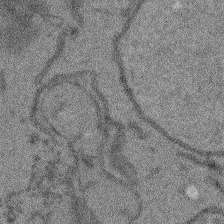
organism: Arabidopsis thaliana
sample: Root tip